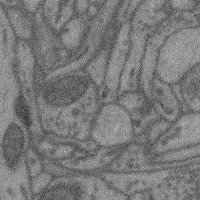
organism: Mouse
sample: Cerebral cortex